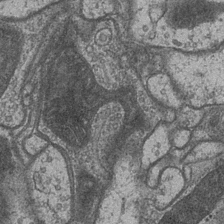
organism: Drosophila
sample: Optic medulla